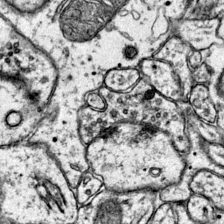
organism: Mouse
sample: Primary visual cortex